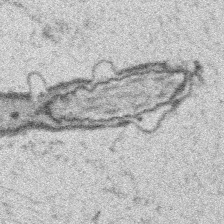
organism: Platynereis dumerilii